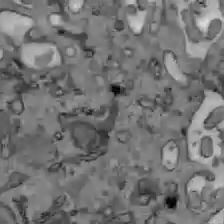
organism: C57BL Mouse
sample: Liver